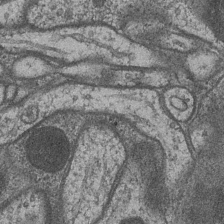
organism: Drosophila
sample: Optic medulla